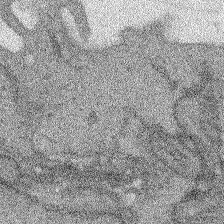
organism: Human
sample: HeLa cells